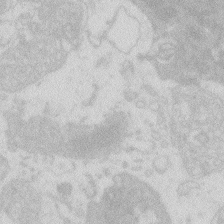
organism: Zebrafish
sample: Macrophage